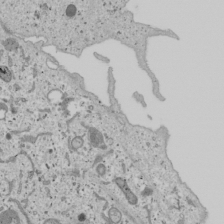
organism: Human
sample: Mitochondria in U2OS cells